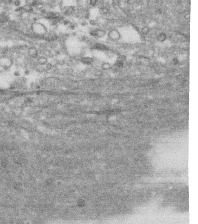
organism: Human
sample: CRL-1474